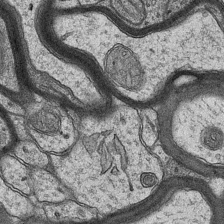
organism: Mouse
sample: CA1 Hippocampus